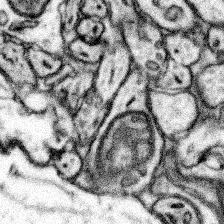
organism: Mouse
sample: Somatosensory cortex neuropil